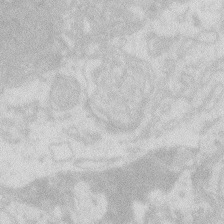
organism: Zebrafish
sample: Macrophage